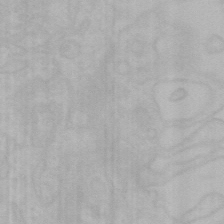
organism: Mouse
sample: Choroid plexus